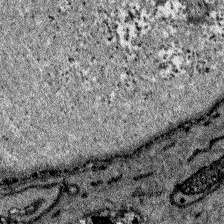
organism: Zebrafish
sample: Larval olfactory bulb